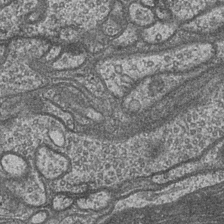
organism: Drosophila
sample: Optic medulla